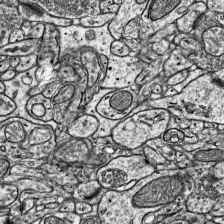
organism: Mouse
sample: Visual Cortex